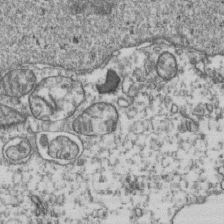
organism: Human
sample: Activated Jurkat CD4+ T cells